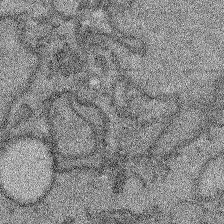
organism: Human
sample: HeLa cells